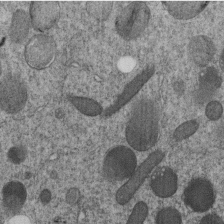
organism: C. elegans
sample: C. elegans embryo early stage